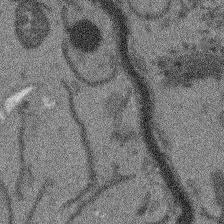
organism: Arabidopsis thaliana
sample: Root tip